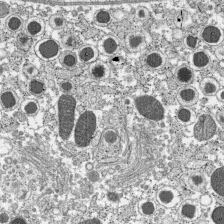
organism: C57BL Mouse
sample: Pancreatic islet